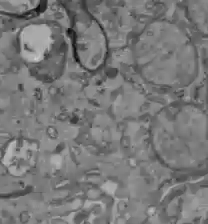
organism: C57BL Mouse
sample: Liver